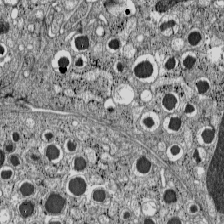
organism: C57BL Mouse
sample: Pancreatic islet